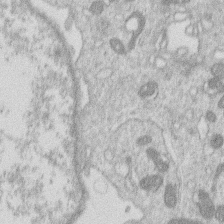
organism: Human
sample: Macrophage cells